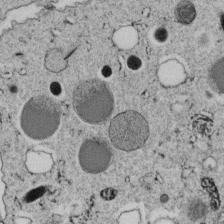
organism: C. elegans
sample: C. elegans embryo early stage